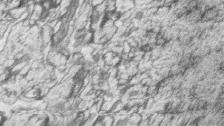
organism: Zebrafish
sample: synaptic ribbons in rod cells and cone cells